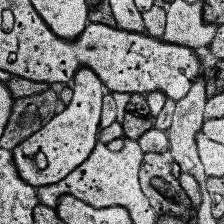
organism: Human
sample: Temporal Lobe